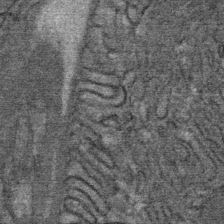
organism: Mouse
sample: Mouse Salivary gland